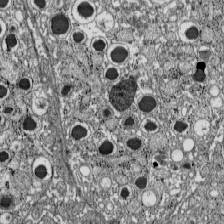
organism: C57BL Mouse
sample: Pancreatic islet